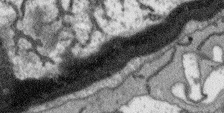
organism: Arabidopsis thaliana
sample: Root tip